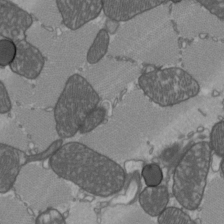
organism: C57BL Mouse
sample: Heart